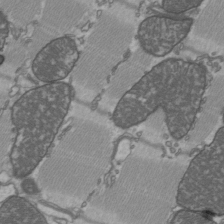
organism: C57BL Mouse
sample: Heart